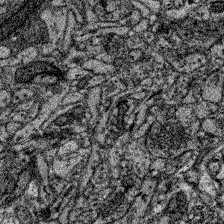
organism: Zebrafish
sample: Larval olfactory bulb